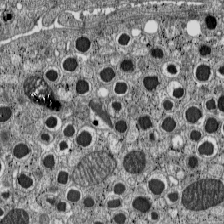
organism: C57BL Mouse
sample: Pancreatic islet